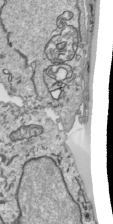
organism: Human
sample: Mitochondria in HCT116 cells